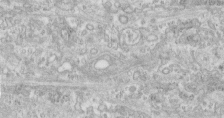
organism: Human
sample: Centriole in fibroblast cells